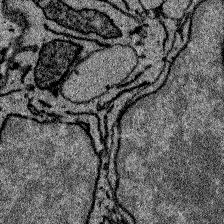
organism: Zebrafish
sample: Larval olfactory bulb